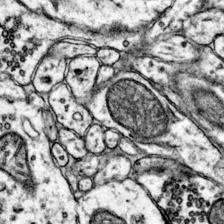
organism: Mouse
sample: Primary visual cortex